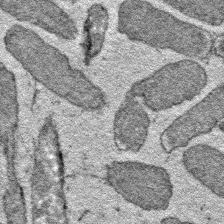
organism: E. coli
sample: E. Coli Bacteria